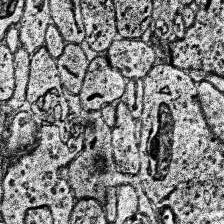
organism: Human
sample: Temporal Lobe